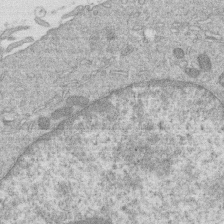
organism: Human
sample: Macrophage cells